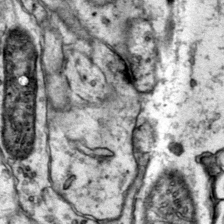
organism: Mouse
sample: Primary visual cortex